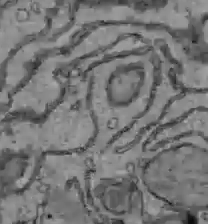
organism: C57BL Mouse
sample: Liver